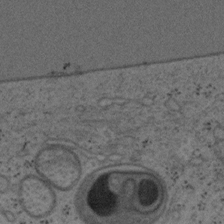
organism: Human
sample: HeLa cells